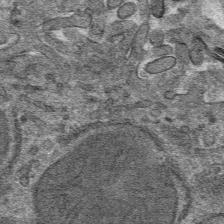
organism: Mouse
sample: Mouse hepatocytes